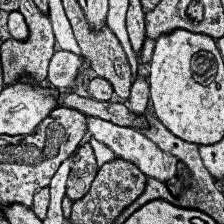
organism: Human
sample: Temporal Lobe